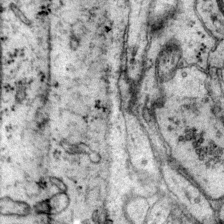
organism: Mouse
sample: Primary visual cortex